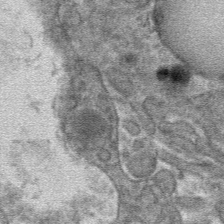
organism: Mouse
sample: Mouse hepatocytes